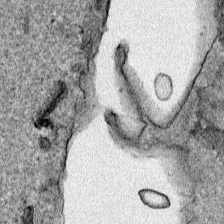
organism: Human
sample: Mitochondria in HCT116 cells